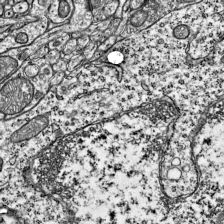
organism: Mouse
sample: Visual Cortex